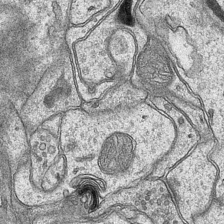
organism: Mouse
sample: CA1 Hippocampus